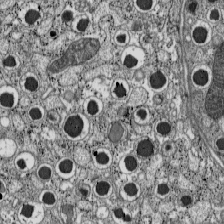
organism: C57BL Mouse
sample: Pancreatic islet